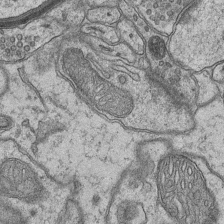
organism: Mouse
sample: CA1 Hippocampus